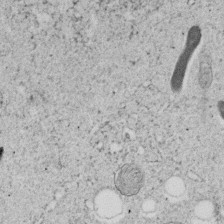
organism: C. elegans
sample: C. elegans embryo early stage